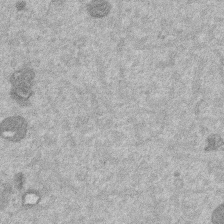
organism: Mouse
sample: Dividing mouse embryo 1 cell stage